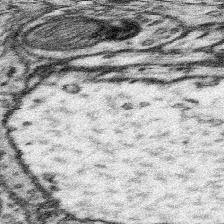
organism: Mouse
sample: Somatosensory cortex neuropil